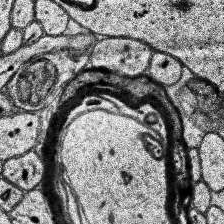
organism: Human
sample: Temporal Lobe